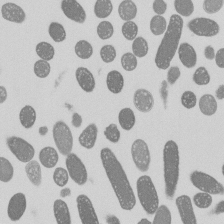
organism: E. coli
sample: Bacterial nucleoid